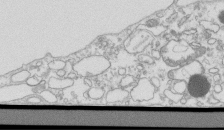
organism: Mouse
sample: Macrophages